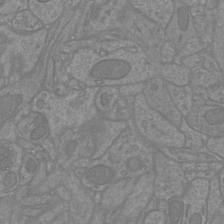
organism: Mouse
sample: Cortical neurons